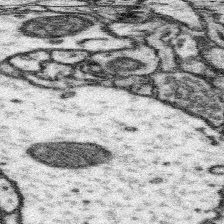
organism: Mouse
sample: Somatosensory cortex neuropil